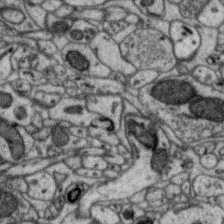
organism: Zebra finch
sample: Brain